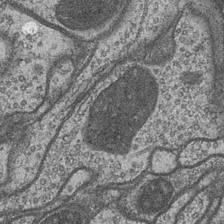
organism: Drosophila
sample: Optic medulla